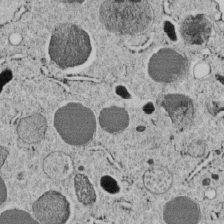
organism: C. elegans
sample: C. elegans embryo early stage